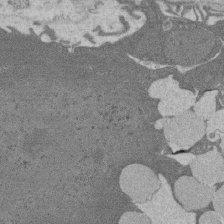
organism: Rat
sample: Salivary granule